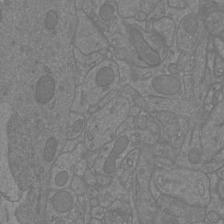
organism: Mouse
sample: Cortical neurons